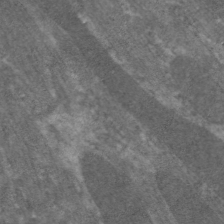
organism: C. elegans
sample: Pharynx